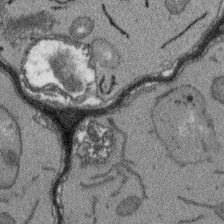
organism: Arabidopsis thaliana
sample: Root tip